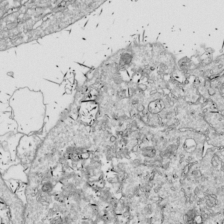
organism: Drosophila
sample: Cell division; meiosis; drosophila spermatocytes